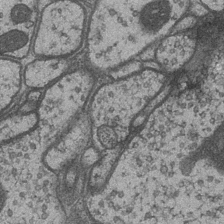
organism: Drosophila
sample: Optic medulla